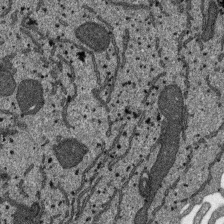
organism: Human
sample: Lung epithelial cells infected with SARS-CoV-2